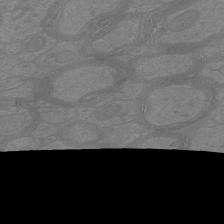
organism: Mouse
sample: Cortical neurons